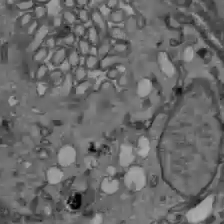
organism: C57BL Mouse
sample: Liver